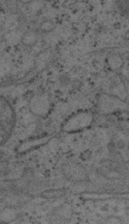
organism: Human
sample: HeLa cells